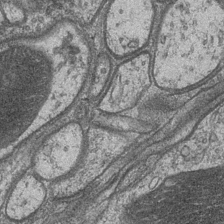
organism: Drosophila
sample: Optic medulla